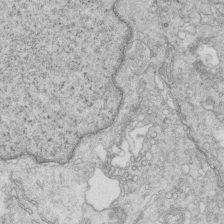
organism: Mouse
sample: Multiciliated cells